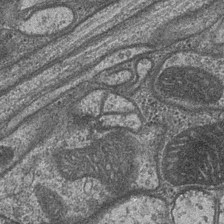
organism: Drosophila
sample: Optic medulla